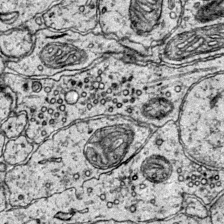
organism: Mouse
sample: Primary visual cortex